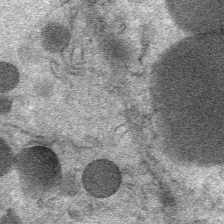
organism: Mouse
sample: Mouse Salivary gland